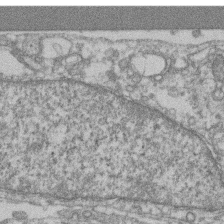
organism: Mouse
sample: T cell stromal cell synapse